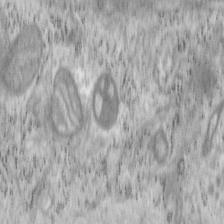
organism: Human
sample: HeLa cells